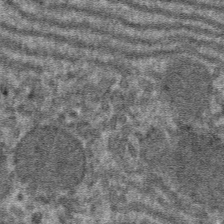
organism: Mouse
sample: Mouse hepatocytes